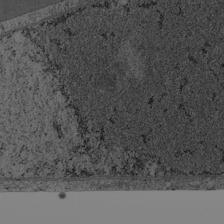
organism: African green monkey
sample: COS-7 cells